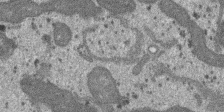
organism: Human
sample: Lung epithelial cells infected with SARS-CoV-2